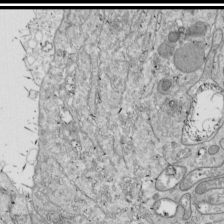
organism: Drosophila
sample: Cell division; meiosis; drosophila spermatocytes